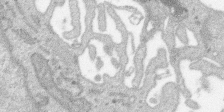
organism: Human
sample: Lung epithelial cells infected with SARS-CoV-2